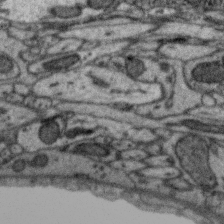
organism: Zebra finch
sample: Brain